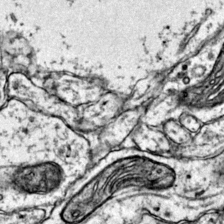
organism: Mouse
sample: Primary visual cortex